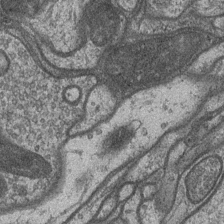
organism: Drosophila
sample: Optic medulla